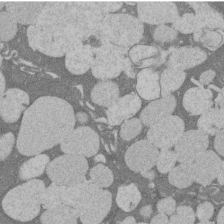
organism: Rat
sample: Salivary granule